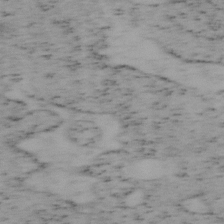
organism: Mouse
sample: OT-I killer T cells with ID8 ovarian cancer cells